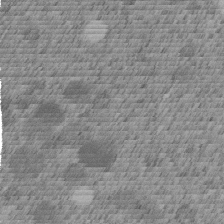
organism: C. elegans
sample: C. elegans embryo early stage